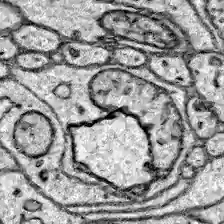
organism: Zebrafish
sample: Brain